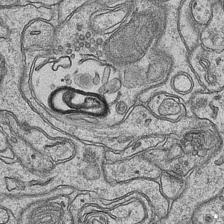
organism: Mouse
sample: CA1 Hippocampus